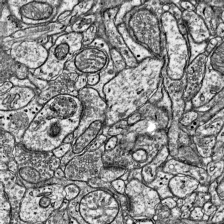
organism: Mouse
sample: Visual Cortex